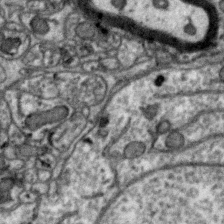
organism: Zebra finch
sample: Brain